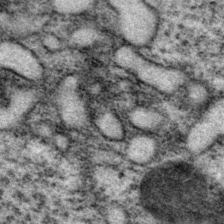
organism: P. pacificus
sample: Pharynx